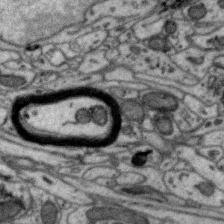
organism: Zebra finch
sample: Brain